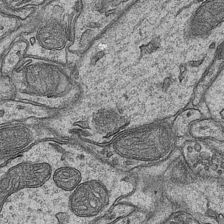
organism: Mouse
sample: CA1 Hippocampus